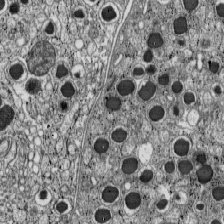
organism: C57BL Mouse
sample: Pancreatic islet